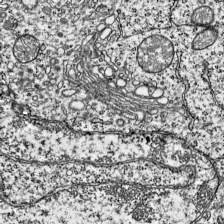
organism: Mouse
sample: Visual Cortex